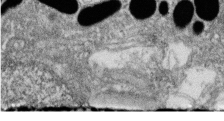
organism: Zebrafish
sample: Cilia; retinal pigment epithelium